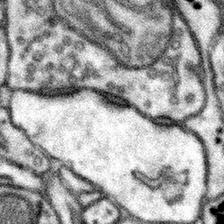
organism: Mouse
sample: Somatosensory cortex neuropil